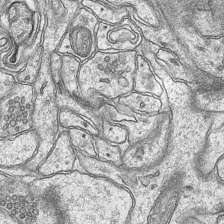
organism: Mouse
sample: CA1 Hippocampus